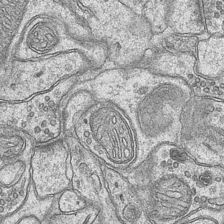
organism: Mouse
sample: CA1 Hippocampus